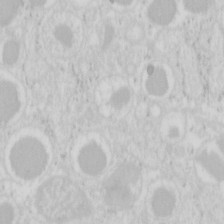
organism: Mouse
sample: Pancreas